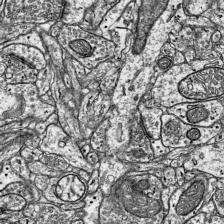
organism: Mouse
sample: Visual Cortex